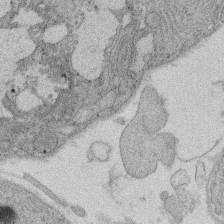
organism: Rat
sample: Salivary granule